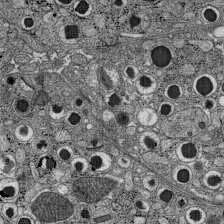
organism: C57BL Mouse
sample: Pancreatic islet